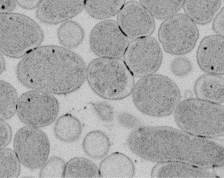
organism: E. coli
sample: Bacterial nucleoid